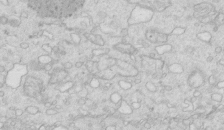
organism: Mouse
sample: Multiciliated cells